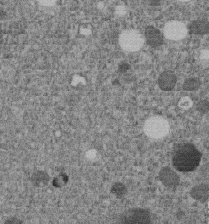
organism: C. elegans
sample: C. elegans embryo early stage